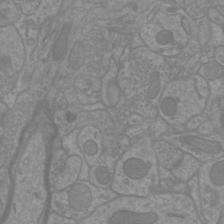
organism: Mouse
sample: Cortical neurons